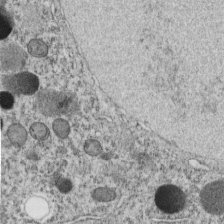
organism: C. elegans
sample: C. elegans embryo early stage